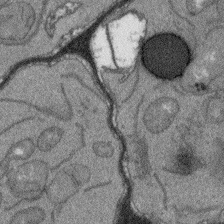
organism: Arabidopsis thaliana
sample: Root tip